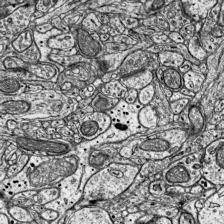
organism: Mouse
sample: Visual Cortex